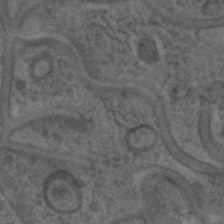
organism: C. elegans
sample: C. elegans embryo